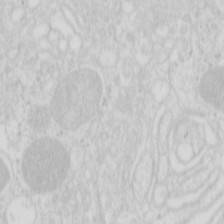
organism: Mouse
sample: Pancreas